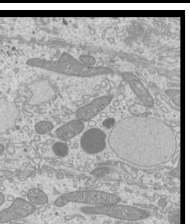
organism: Mouse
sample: Cilia; mouse epididymis